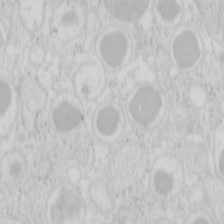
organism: Mouse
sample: Pancreas